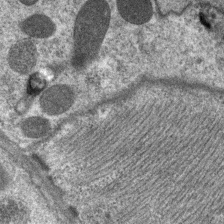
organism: C. elegans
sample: Pharynx